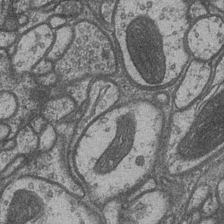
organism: Drosophila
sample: Optic medulla